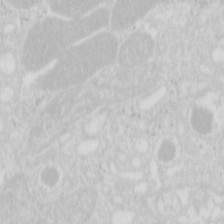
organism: Mouse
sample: Pancreas